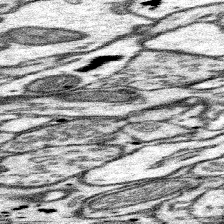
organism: Mouse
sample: Somatosensory cortex neuropil